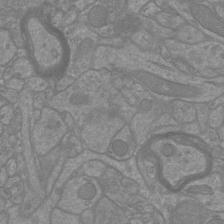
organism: Mouse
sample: Cortical neurons